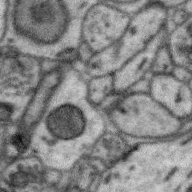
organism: Zebra finch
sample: Brain